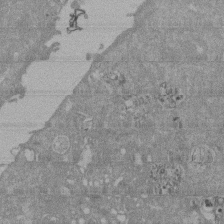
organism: Mouse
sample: ED-1 cell nuclei; centrioles